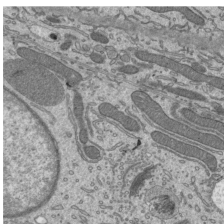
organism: Mouse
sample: Mouse epididymis efferent ductule cilia